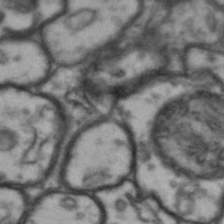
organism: Drosophila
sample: Brain